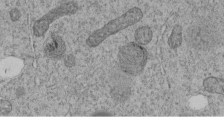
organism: C. elegans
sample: C. elegans embryo early stage